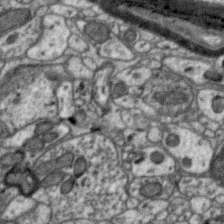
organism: Zebra finch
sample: Brain